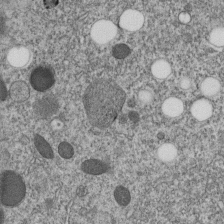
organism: C. elegans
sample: C. elegans embryo early stage